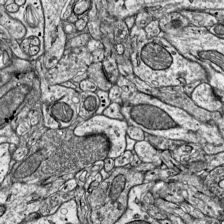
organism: Mouse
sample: Visual Cortex